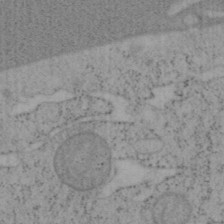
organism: Mouse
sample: OT-I killer T cells with ID8 ovarian cancer cells